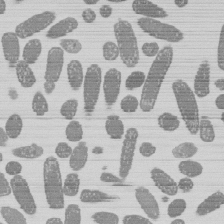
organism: E. coli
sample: Bacterial nucleoid